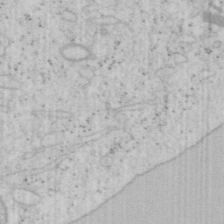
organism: Human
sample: HeLa cells